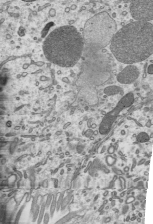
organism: Mouse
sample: Mouse epididymis efferent ductule cilia